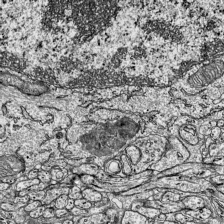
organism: Mouse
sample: Visual Cortex